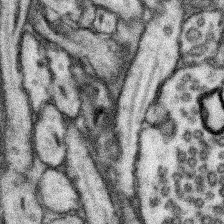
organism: Mouse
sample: Somatosensory cortex neuropil